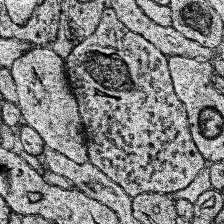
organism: Human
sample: Temporal Lobe